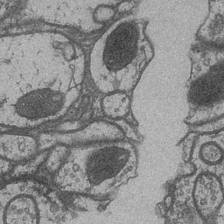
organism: Drosophila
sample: Optic medulla